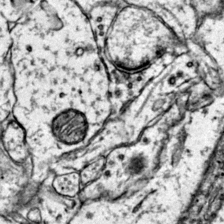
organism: Mouse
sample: Primary visual cortex